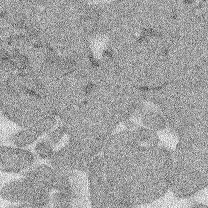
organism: Human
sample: HeLa cells